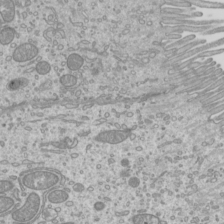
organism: Mouse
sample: Cilia; mouse epididymis